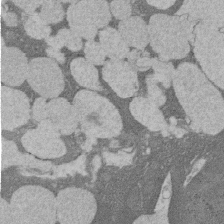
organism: Rat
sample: Salivary granule